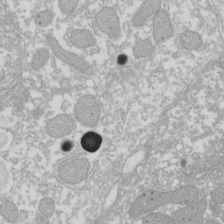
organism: Xenopus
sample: Cilia; centrioles in frog embryo cells